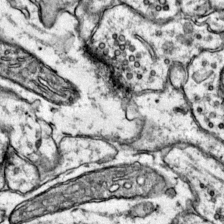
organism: Mouse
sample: Primary visual cortex